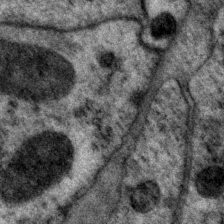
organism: P. pacificus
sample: Pharynx